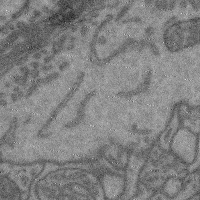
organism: Mouse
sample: Cerebral cortex